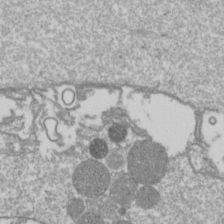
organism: Drosophila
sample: Cell division; meiosis; drosophila spermatocytes